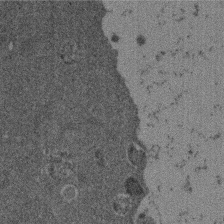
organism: Mouse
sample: Dividing mouse embryo 1 cell stage